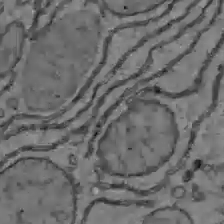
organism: C57BL Mouse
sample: Liver